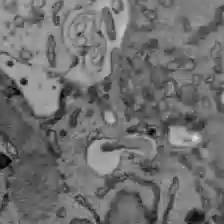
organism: C57BL Mouse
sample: Liver